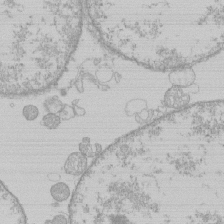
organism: Human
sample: Macrophage cells